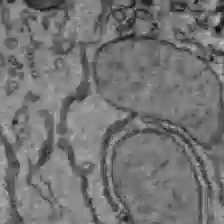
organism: C57BL Mouse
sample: Liver